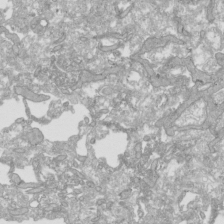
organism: Human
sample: Mitochondria in HCT116 cells